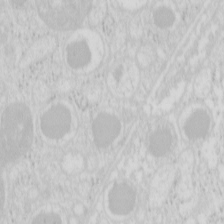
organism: Mouse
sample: Pancreas